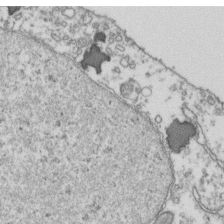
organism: Human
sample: Activated Jurkat CD4+ T cells